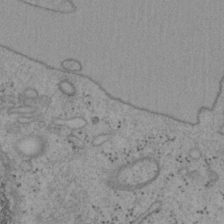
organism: Human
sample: HeLa cells